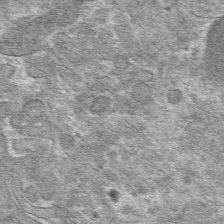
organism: Mouse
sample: Mouse hepatocytes